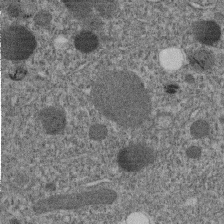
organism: C. elegans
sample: C. elegans embryo early stage